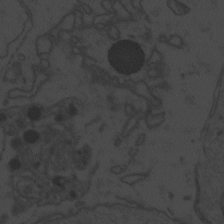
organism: Zebrafish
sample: Macrophage infected with Toxoplasma gondii